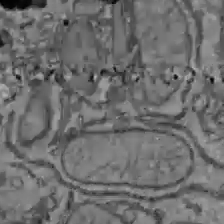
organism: C57BL Mouse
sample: Liver